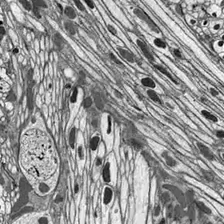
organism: Drosophila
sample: Optic lobe